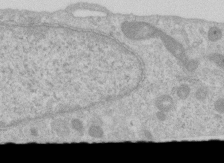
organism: Human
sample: Centriole in RPE cells